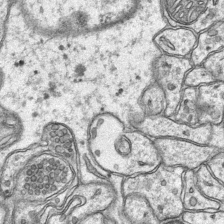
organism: Mouse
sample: CA1 Hippocampus